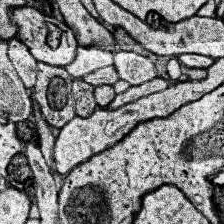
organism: Human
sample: Temporal Lobe